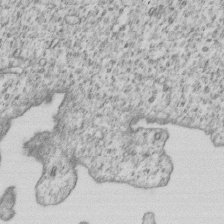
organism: Human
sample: MDA-MB-231 cells